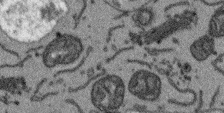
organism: Arabidopsis thaliana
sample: Root tip